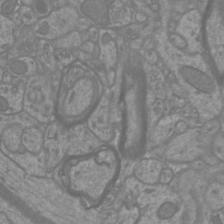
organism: Mouse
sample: Cortical neurons